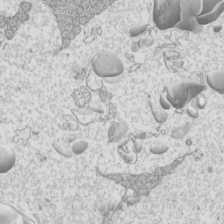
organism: Mouse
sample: Cilia; mouse epididymis